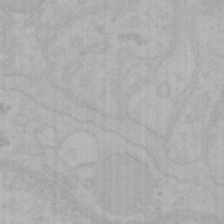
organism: Mouse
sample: Choroid plexus